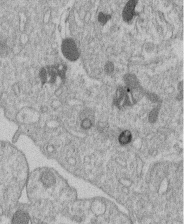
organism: Human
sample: Macrophage cells